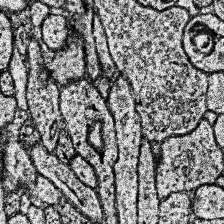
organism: Human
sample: Temporal Lobe